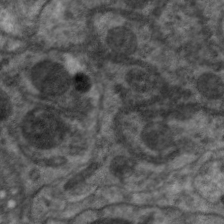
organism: C. elegans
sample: Pharynx